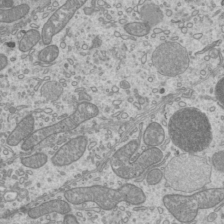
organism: Mouse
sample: Cilia; mouse epididymis